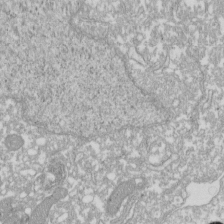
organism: Xenopus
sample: Cilia; centrioles in frog embryo cells